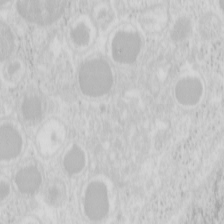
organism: Mouse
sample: Pancreas